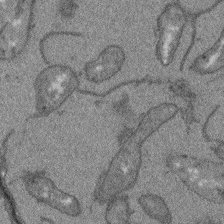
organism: Arabidopsis thaliana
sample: Root tip